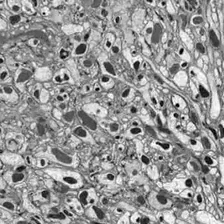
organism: Drosophila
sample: Optic lobe